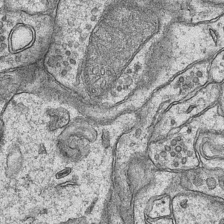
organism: Mouse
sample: CA1 Hippocampus